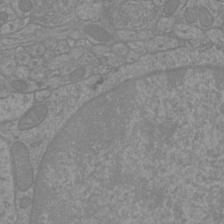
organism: Mouse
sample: Cortical neurons